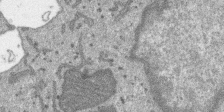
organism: Human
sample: Lung epithelial cells infected with SARS-CoV-2